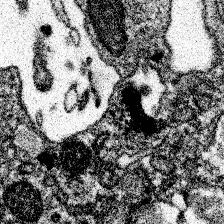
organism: Spongilla lacustris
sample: Neuroid cell